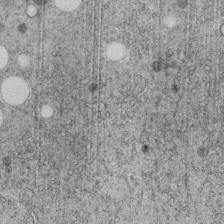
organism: C. elegans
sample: C. elegans embryo early stage